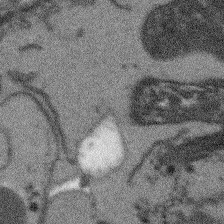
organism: Arabidopsis thaliana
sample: Root tip